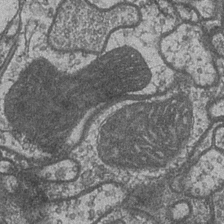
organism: Drosophila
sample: Optic medulla